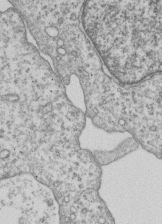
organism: Human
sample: MDA-MB-231 cells